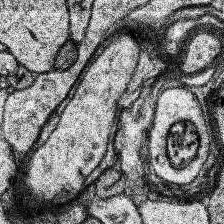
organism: Human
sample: Temporal Lobe